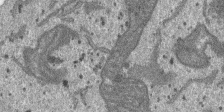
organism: Human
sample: Lung epithelial cells infected with SARS-CoV-2